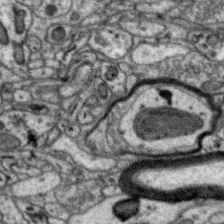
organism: Zebra finch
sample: Brain